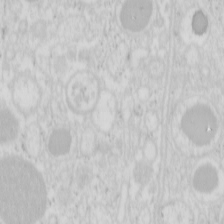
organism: Mouse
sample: Pancreas